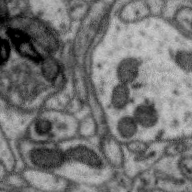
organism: Zebra finch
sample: Brain